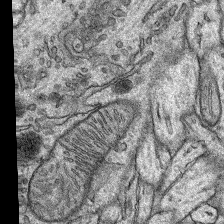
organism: Rat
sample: Hippocampus